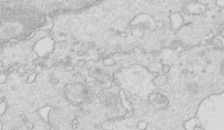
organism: Mouse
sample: Multiciliated cells